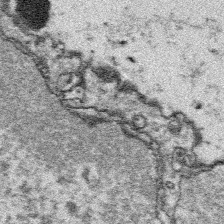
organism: Platynereis dumerilii